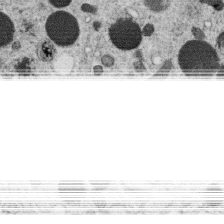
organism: C. elegans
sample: C. elegans oocyte; sperm cells